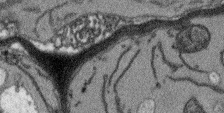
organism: Arabidopsis thaliana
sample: Root tip